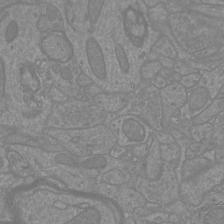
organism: Mouse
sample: Cortical neurons